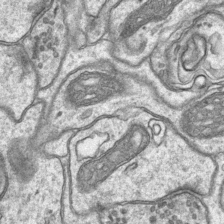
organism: Mouse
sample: CA1 Hippocampus